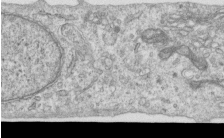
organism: Human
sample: Centriole in RPE cells